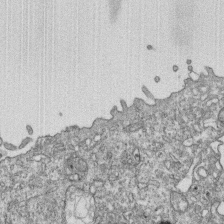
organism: Human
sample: HeLa cell HIV synapse